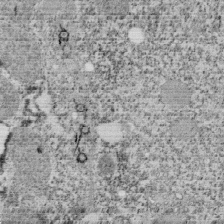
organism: Tetrahymena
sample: Cilia in tetrahymena